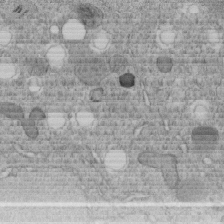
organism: C. elegans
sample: C. elegans embryo early stage